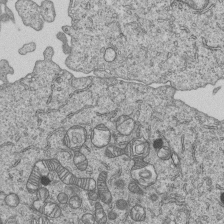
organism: Human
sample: MDA-MB-231 cells